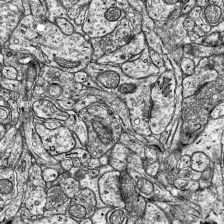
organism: Mouse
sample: Visual Cortex